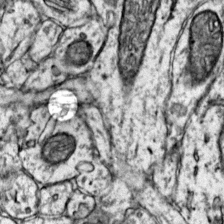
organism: Mouse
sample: Primary visual cortex